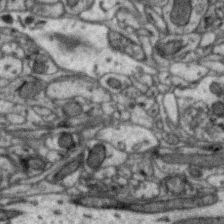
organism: Zebra finch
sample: Brain